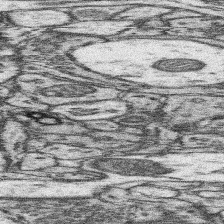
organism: Mouse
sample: Somatosensory cortex neuropil